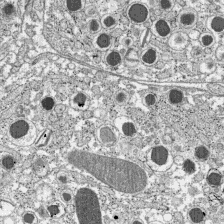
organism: C57BL Mouse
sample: Pancreatic islet